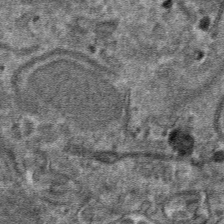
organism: Mouse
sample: Mouse hepatocytes